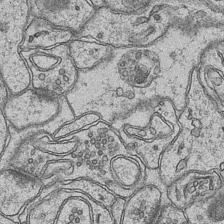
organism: Mouse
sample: CA1 Hippocampus